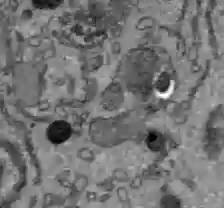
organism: C57BL Mouse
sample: Liver